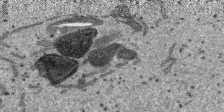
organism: Human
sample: Lung epithelial cells infected with SARS-CoV-2